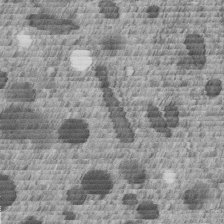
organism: C. elegans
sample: C. elegans embryo early stage